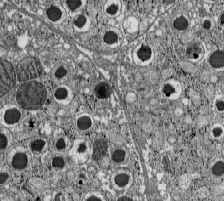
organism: C57BL Mouse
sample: Pancreatic islet